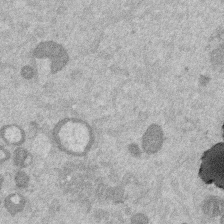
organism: Mouse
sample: Dividing mouse embryo 1 cell stage